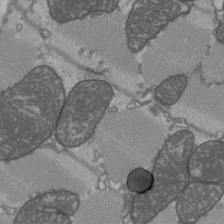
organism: C57BL Mouse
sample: Heart